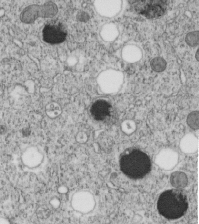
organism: C. elegans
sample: C. elegans embryo early stage